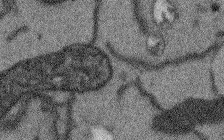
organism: Arabidopsis thaliana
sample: Root tip